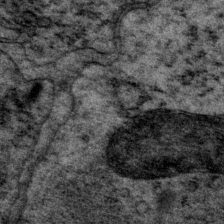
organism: P. pacificus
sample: Pharynx